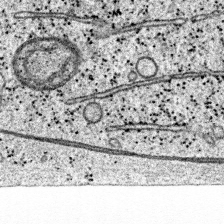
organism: Human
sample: HeLa cells